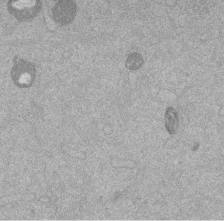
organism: Mouse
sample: Dividing mouse embryo 1 cell stage